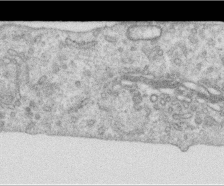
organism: Human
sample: Centriole in RPE cells